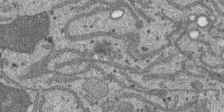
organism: Human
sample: Lung epithelial cells infected with SARS-CoV-2